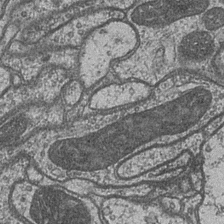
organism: Drosophila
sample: Optic medulla